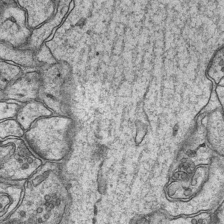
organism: Mouse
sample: CA1 Hippocampus